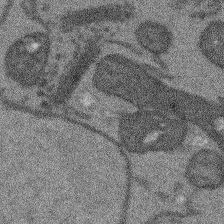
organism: Arabidopsis thaliana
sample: Root tip